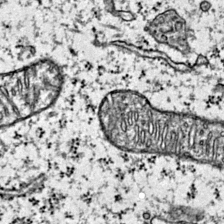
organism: Mouse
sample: Primary visual cortex